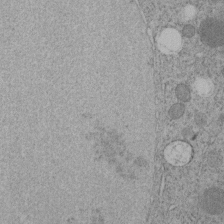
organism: C. elegans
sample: C. elegans embryo early stage